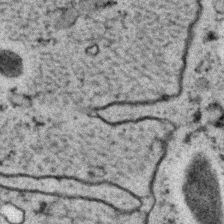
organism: C. elegans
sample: C. elegans embryo